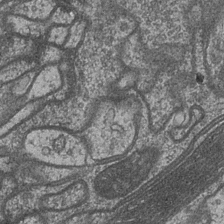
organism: Drosophila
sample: Optic medulla